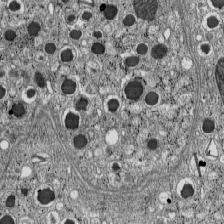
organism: C57BL Mouse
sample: Pancreatic islet